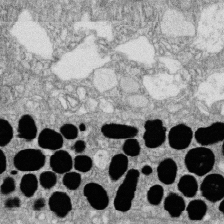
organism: Zebrafish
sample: Cilia; retinal pigment epithelium